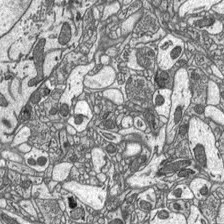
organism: C57BL Mouse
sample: Optic nerve head